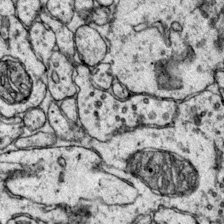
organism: Mouse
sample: Primary visual cortex